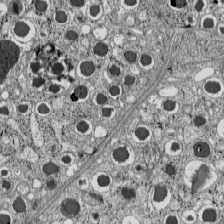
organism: C57BL Mouse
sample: Pancreatic islet